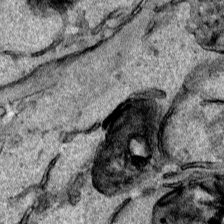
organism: Human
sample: Mitochondria in HCT116 cells